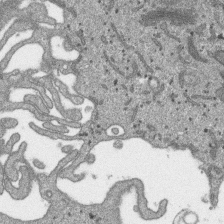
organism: Human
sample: Lung epithelial cells infected with SARS-CoV-2